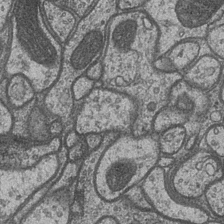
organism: Drosophila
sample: Optic medulla